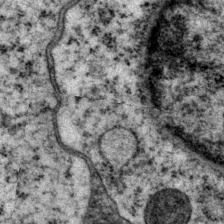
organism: P. pacificus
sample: Pharynx